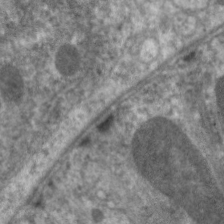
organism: C. elegans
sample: Pharynx